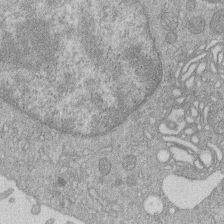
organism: Human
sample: Macrophage cells